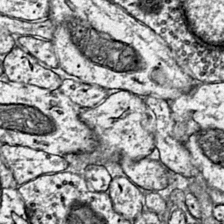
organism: Mouse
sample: Primary visual cortex